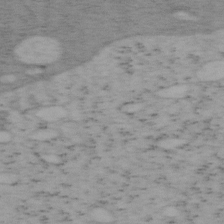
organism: Mouse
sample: OT-I killer T cells with ID8 ovarian cancer cells